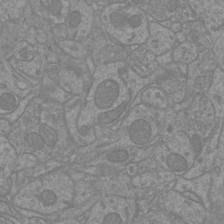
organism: Mouse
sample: Cortical neurons